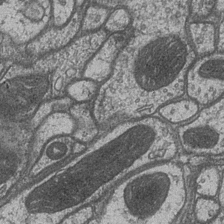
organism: Drosophila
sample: Optic medulla